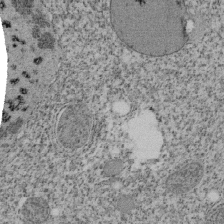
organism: Tetrahymena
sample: Cilia in tetrahymena